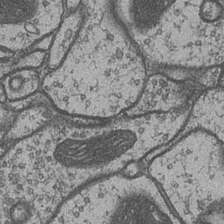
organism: Drosophila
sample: Optic medulla